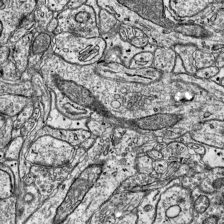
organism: Mouse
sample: Visual Cortex